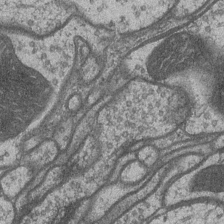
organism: Drosophila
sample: Optic medulla